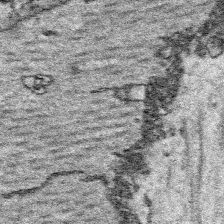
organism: Platynereis dumerilii